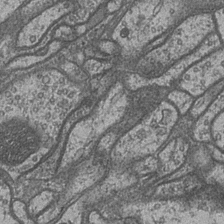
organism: Drosophila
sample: Optic medulla